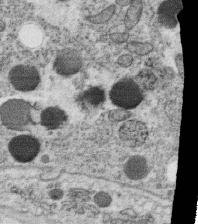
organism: C. elegans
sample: C. elegans oocyte; sperm cells